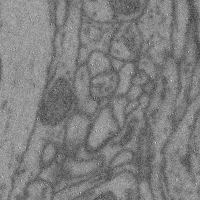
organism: Mouse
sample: Cerebral cortex